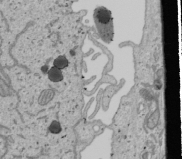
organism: Human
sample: Mitochondria in U2OS cells